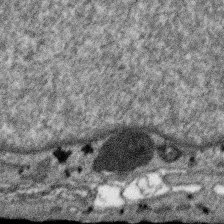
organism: Human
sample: Lung epithelial cells infected with SARS-CoV-2